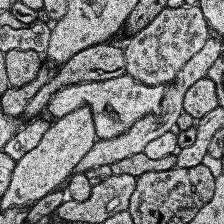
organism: Human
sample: Temporal Lobe